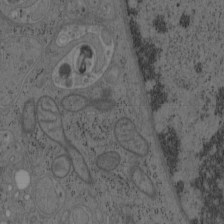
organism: Mouse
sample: OT-I killer T cells with ID8 ovarian cancer cells